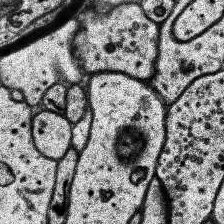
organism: Human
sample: Temporal Lobe